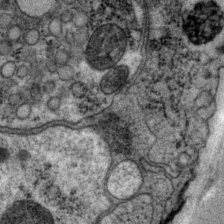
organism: P. pacificus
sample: Pharynx